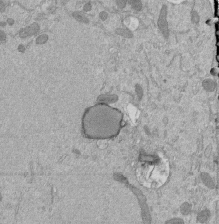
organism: Mouse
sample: ED-1 cell nuclei; centrioles